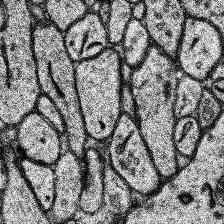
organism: Human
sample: Temporal Lobe